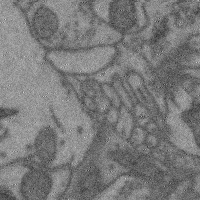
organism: Mouse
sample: Cerebral cortex